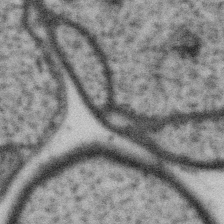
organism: Gemmata obscuriglobus